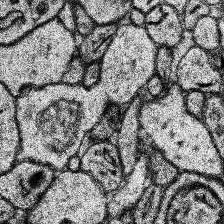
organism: Human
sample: Temporal Lobe